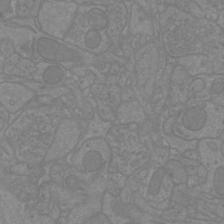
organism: Mouse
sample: Cortical neurons